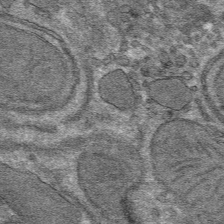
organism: Mouse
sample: Mouse hepatocytes